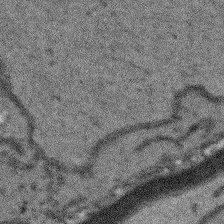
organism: Arabidopsis thaliana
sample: Root tip